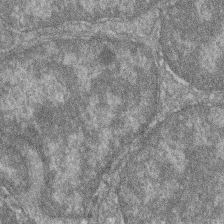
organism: Zebrafish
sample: Cilia; retinal pigment epithelium